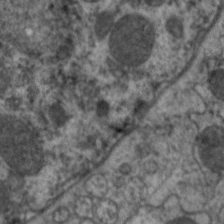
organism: C. elegans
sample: Pharynx